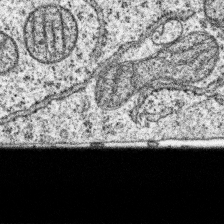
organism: Human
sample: HeLa cells